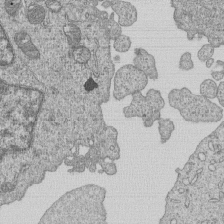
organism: Human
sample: MDA-MB-231 cells